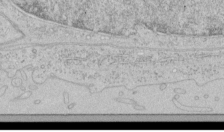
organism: Human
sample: Mitochondria in HCT116 cells